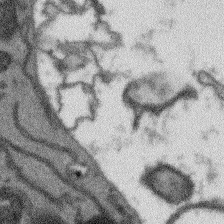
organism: Arabidopsis thaliana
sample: Root tip